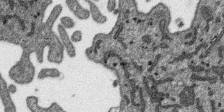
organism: Human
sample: Lung epithelial cells infected with SARS-CoV-2